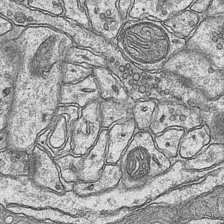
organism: Mouse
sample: CA1 Hippocampus